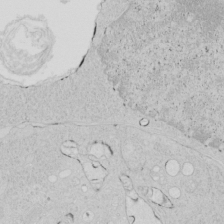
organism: Human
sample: Mitochondria in HCT116 cells